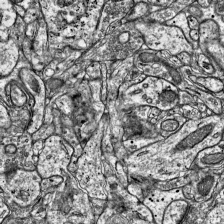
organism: Mouse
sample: Visual Cortex